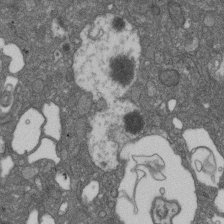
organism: Drosophila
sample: Nephrocyte